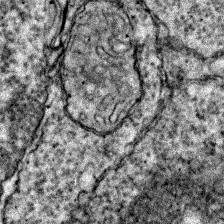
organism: Zebrafish